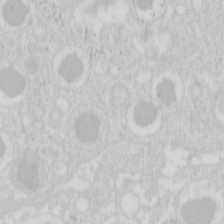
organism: Mouse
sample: Pancreas